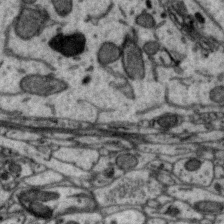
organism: Zebra finch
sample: Brain